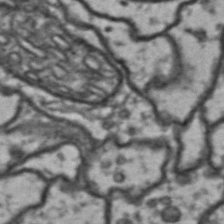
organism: Drosophila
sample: Brain